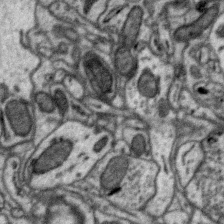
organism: Zebra finch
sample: Brain